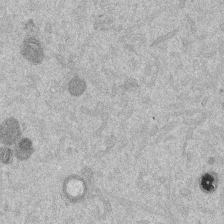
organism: Mouse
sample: Dividing mouse embryo 1 cell stage